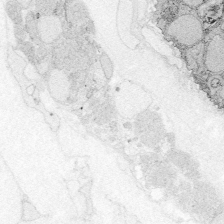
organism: Zebrafish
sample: Whole-Brain